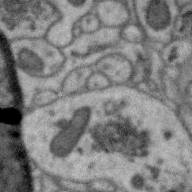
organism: Zebra finch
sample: Brain